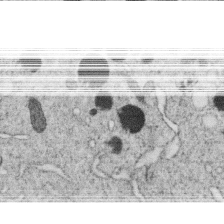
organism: C. elegans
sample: C. elegans oocyte; sperm cells